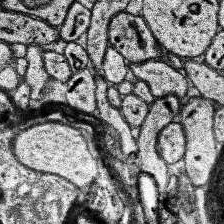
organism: Human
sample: Temporal Lobe